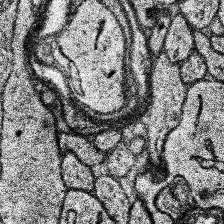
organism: Human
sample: Temporal Lobe